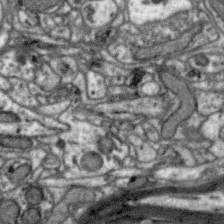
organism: Zebra finch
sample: Brain